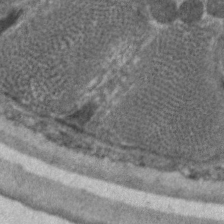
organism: C. elegans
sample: Pharynx